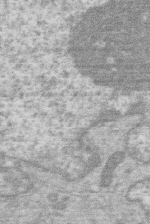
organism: Human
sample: Macrophage cells